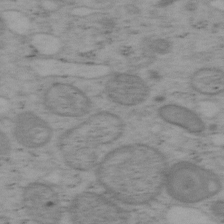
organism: Mouse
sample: OT-I killer T cells with ID8 ovarian cancer cells